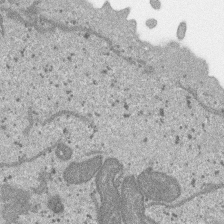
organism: Human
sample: Lung epithelial cells infected with SARS-CoV-2